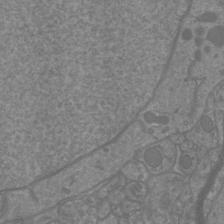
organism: Mouse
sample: Cortical neurons